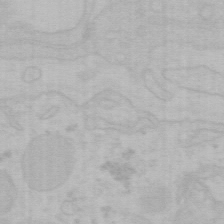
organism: Mouse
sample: Choroid plexus